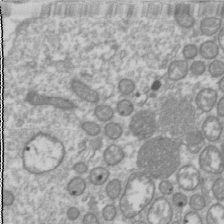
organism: Drosophila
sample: Cell division; meiosis; drosophila spermatocytes